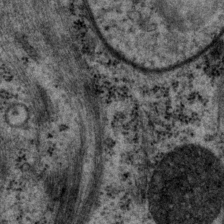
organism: P. pacificus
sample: Pharynx